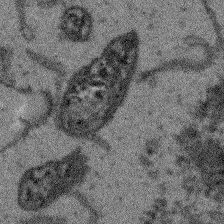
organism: Arabidopsis thaliana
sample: Root tip